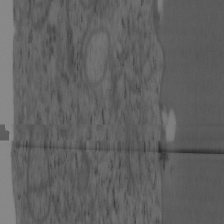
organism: Human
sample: HeLa cells